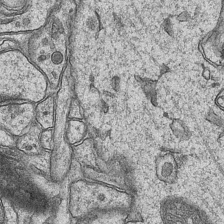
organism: Mouse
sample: CA1 Hippocampus